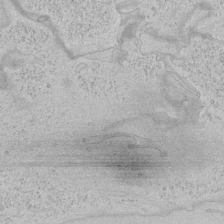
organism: Human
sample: Mitochondria in HCT116 cells